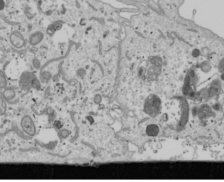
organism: Human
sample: Mitochondria in U2OS cells